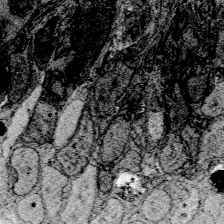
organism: Zebrafish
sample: Whole-Brain